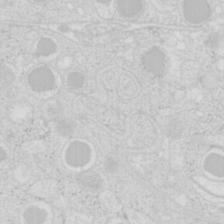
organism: Mouse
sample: Pancreas